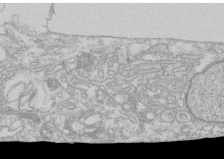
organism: Human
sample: CRL-1474